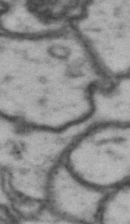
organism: Drosophila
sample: Brain